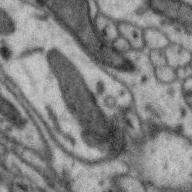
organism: Zebra finch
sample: Brain